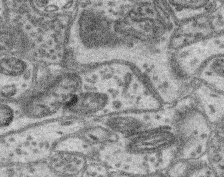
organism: Mouse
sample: Retina